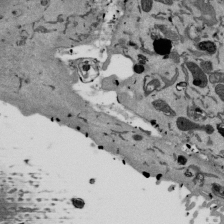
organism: Mouse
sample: ED-1 cell nuclei; centrioles